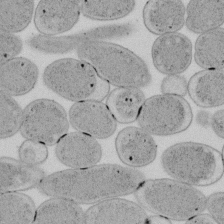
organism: E. coli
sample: Bacterial nucleoid